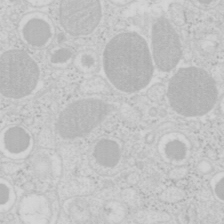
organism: Mouse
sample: Pancreas